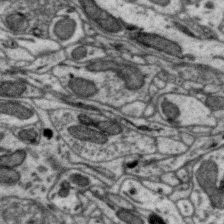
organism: Zebra finch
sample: Brain